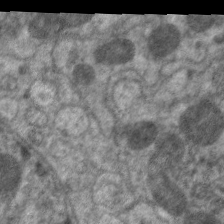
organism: C. elegans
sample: Pharynx